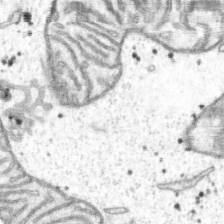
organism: Human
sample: HeLa cells